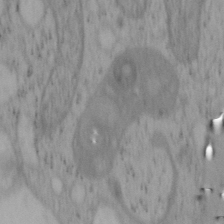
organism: Mouse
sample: OT-I killer T cells with ID8 ovarian cancer cells